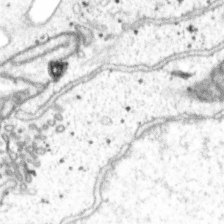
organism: Human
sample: HeLa cells